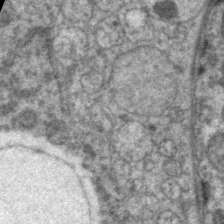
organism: C. elegans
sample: Pharynx